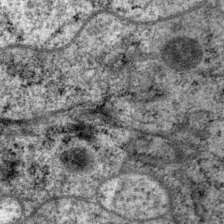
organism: P. pacificus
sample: Pharynx